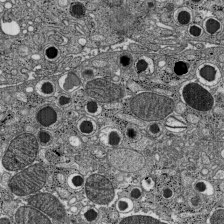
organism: C57BL Mouse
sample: Pancreatic islet